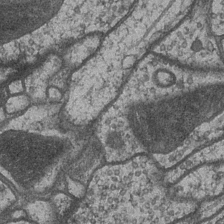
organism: Drosophila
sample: Optic medulla